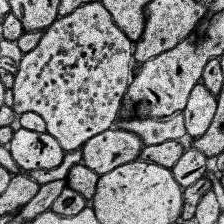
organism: Human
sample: Temporal Lobe